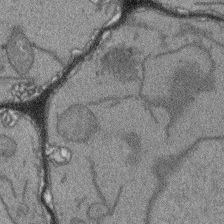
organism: Arabidopsis thaliana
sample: Root tip